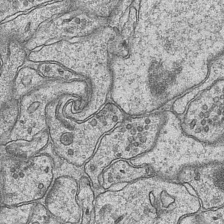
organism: Mouse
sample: CA1 Hippocampus